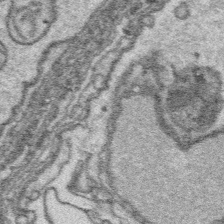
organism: Platynereis dumerilii